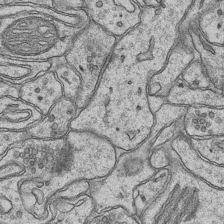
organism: Mouse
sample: CA1 Hippocampus